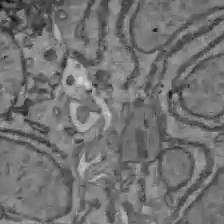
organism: C57BL Mouse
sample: Liver